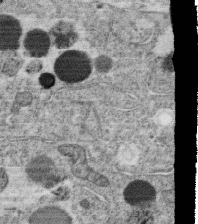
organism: C. elegans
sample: C. elegans oocyte; sperm cells